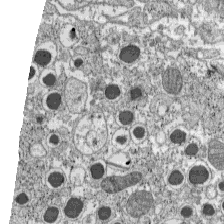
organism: C57BL Mouse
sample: Pancreatic islet